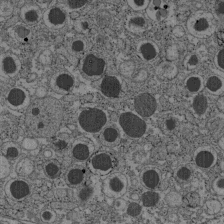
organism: C57BL Mouse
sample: Pancreatic islet